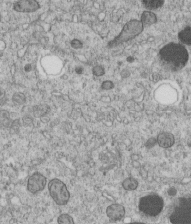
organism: C. elegans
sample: C. elegans embryo early stage